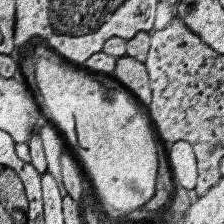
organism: Human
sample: Temporal Lobe